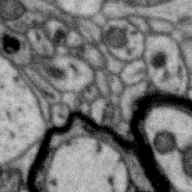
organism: Zebra finch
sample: Brain